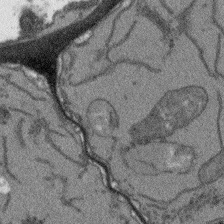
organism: Arabidopsis thaliana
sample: Root tip